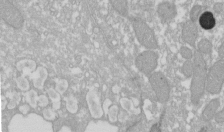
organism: Xenopus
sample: Cilia; centrioles in frog embryo cells